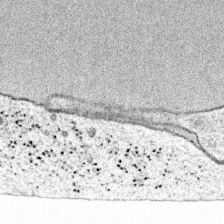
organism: Human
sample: HeLa cells